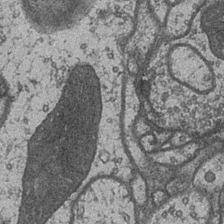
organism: Drosophila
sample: Optic medulla